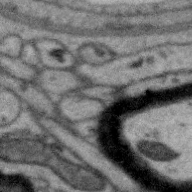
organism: Zebra finch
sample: Brain